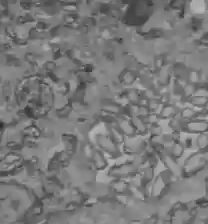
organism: C57BL Mouse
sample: Liver